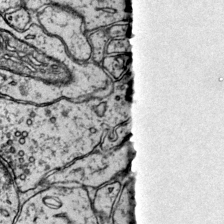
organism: Mouse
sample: Primary visual cortex